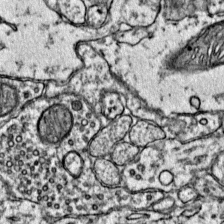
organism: Mouse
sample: Primary visual cortex